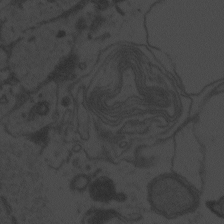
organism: Zebrafish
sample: Macrophage infected with Toxoplasma gondii